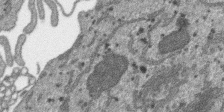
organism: Human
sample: Lung epithelial cells infected with SARS-CoV-2